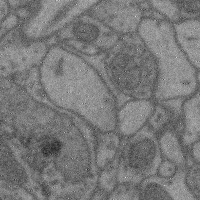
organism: Mouse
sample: Cerebral cortex